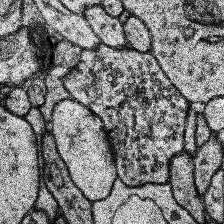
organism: Human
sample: Temporal Lobe